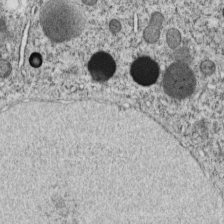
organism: C. elegans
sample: C. elegans embryo early stage